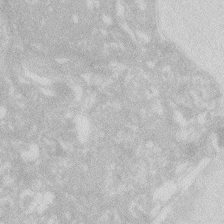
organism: Zebrafish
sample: Macrophage